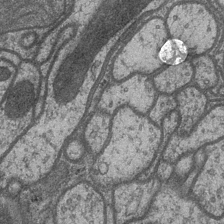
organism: Drosophila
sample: Optic medulla